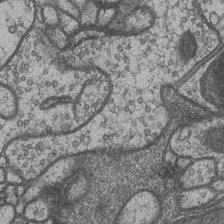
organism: Drosophila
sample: Optic medulla